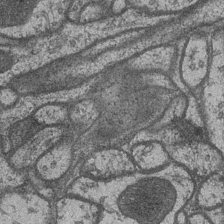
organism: Drosophila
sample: Optic medulla